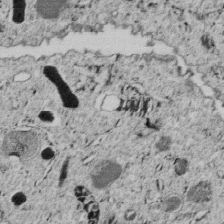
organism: C. elegans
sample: C. elegans embryo early stage